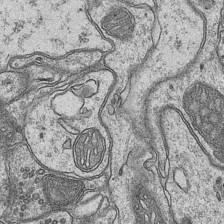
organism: Mouse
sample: CA1 Hippocampus